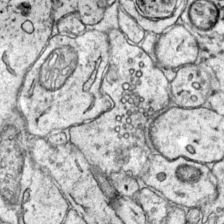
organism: Mouse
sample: Primary visual cortex